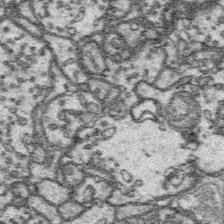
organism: Platynereis dumerilii